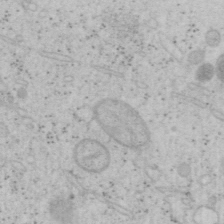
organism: Human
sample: HeLa cells